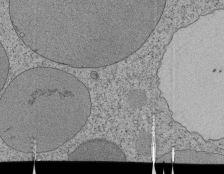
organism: Tetrahymena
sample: Cilia in tetrahymena